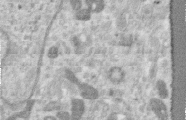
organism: Human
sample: Centriole in RPE cells